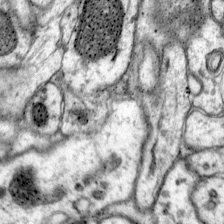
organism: Mouse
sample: Primary visual cortex